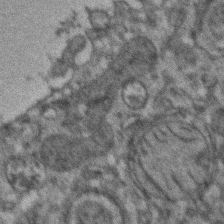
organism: Zebrafish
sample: Zebrafish embryo